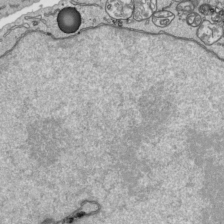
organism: Human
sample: Mitochondria in HCT116 cells